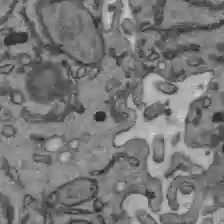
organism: C57BL Mouse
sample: Liver